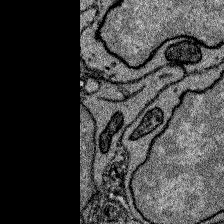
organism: Zebrafish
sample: Larval olfactory bulb